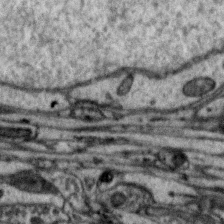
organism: Zebra finch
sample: Brain